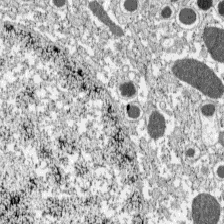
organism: C57BL Mouse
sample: Pancreatic islet